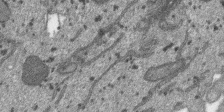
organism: Human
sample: Lung epithelial cells infected with SARS-CoV-2